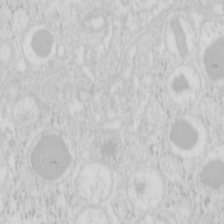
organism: Mouse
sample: Pancreas